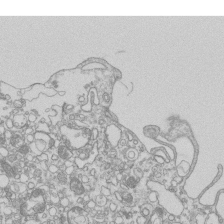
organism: Mouse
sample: Macrophages